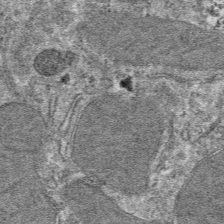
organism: Mouse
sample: Mouse hepatocytes